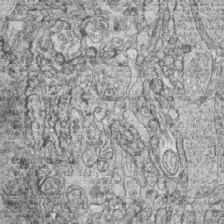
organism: Zebrafish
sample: synaptic ribbons in rod cells and cone cells